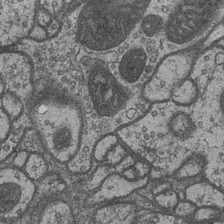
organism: Drosophila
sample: Optic medulla